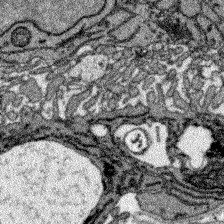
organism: Zebrafish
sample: Larval olfactory bulb